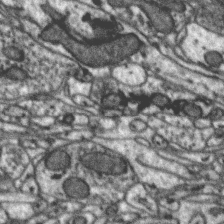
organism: Zebra finch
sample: Brain